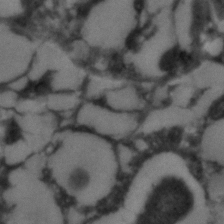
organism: C. elegans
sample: C. elegans embryo